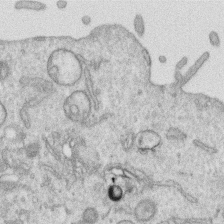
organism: Human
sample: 1205lu cells